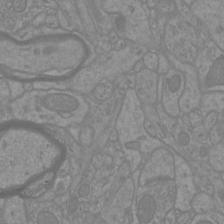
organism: Mouse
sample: Cortical neurons